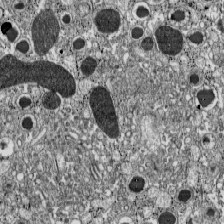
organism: C57BL Mouse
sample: Pancreatic islet